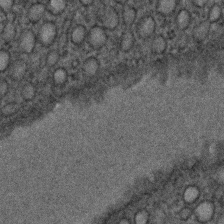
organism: C. elegans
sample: C. elegans embryo